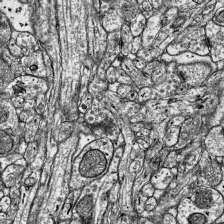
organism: Mouse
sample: Visual Cortex